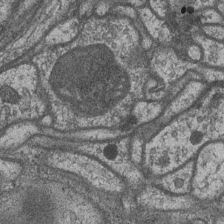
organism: Drosophila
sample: Optic medulla